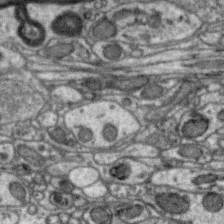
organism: Zebra finch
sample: Brain